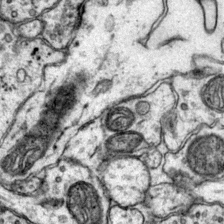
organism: Mouse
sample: Primary visual cortex